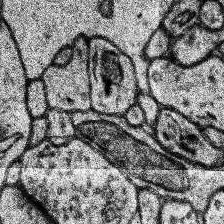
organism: Human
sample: Temporal Lobe